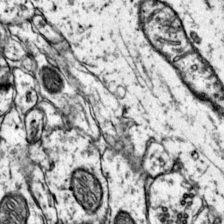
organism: Mouse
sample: Primary visual cortex